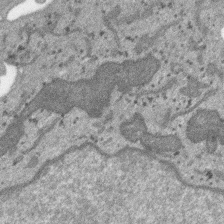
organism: Human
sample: Lung epithelial cells infected with SARS-CoV-2